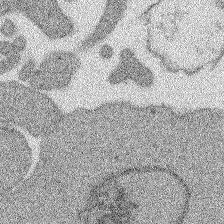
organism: Human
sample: HeLa cells